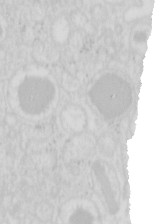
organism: Mouse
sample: Pancreas